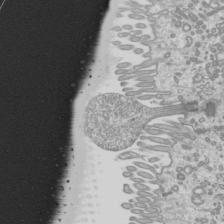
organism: Mouse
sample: Cilia; mouse epididymis